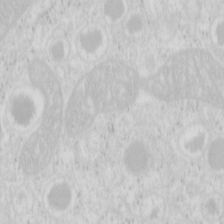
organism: Mouse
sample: Pancreas